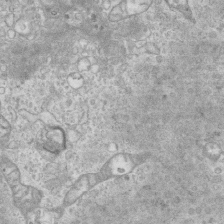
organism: Mouse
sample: Centriole in ependymal cells